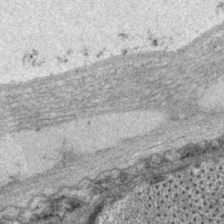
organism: P. pacificus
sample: Pharynx